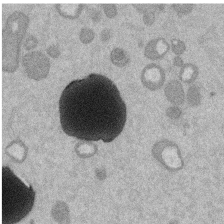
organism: Mouse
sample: Dividing mouse embryo 1 cell stage